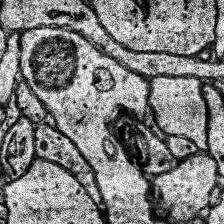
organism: Human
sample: Temporal Lobe